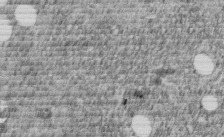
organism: C. elegans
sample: C. elegans embryo early stage